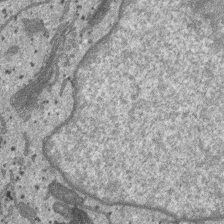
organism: Human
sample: Lung epithelial cells infected with SARS-CoV-2